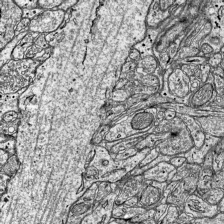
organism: Mouse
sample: Visual Cortex